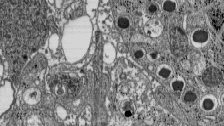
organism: C57BL Mouse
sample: Pancreatic islet